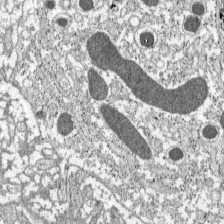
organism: C57BL Mouse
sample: Pancreatic islet